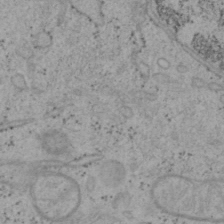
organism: Human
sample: HeLa cells